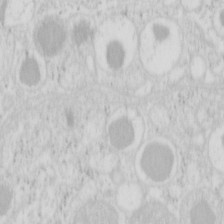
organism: Mouse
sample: Pancreas